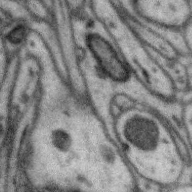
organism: Zebra finch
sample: Brain